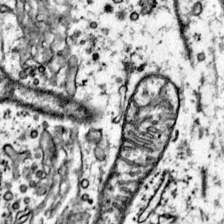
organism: Mouse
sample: Primary visual cortex